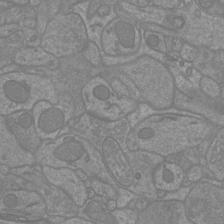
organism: Mouse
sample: Cortical neurons